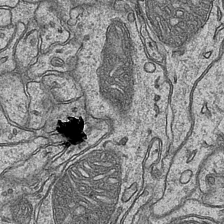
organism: Mouse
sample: CA1 Hippocampus